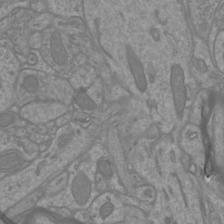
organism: Mouse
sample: Cortical neurons